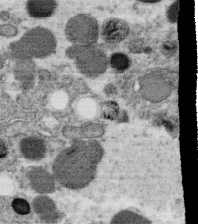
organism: C. elegans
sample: C. elegans oocyte; sperm cells